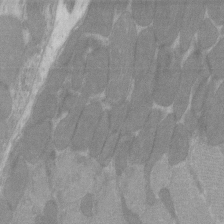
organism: C57BL Mouse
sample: Tibialis anterior muscle cell